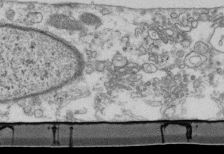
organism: Mouse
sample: Cilia; retinal pigment epithelium